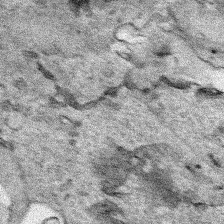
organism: Human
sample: Mitochondria in HCT116 cells